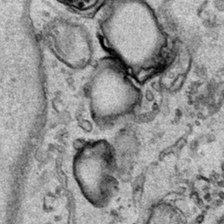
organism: Human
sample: Mitochondria in HCT116 cells